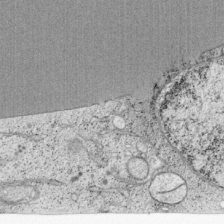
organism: African green monkey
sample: COS-7 cells